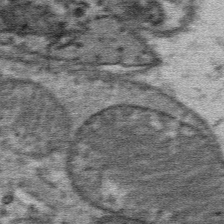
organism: Mouse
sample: Mouse Salivary gland